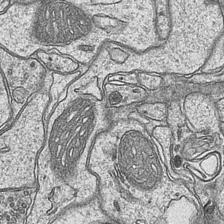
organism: Mouse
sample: CA1 Hippocampus